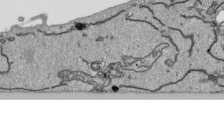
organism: Human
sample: Mitochondria in HCT116 cells